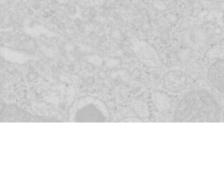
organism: Mouse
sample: Pancreas